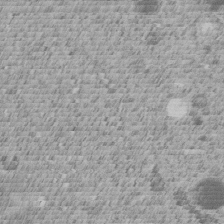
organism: C. elegans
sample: C. elegans embryo early stage